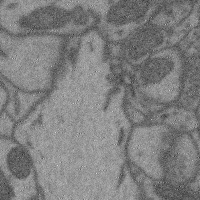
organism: Mouse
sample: Cerebral cortex